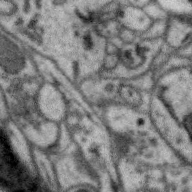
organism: Zebra finch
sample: Brain